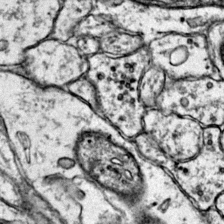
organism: Mouse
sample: Primary visual cortex